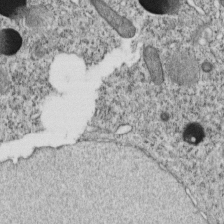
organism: C. elegans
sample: C. elegans embryo early stage